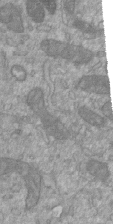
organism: Mouse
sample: ED-1 cell nuclei; centrioles